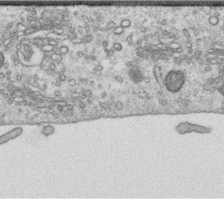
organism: Human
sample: Centriole in RPE cells